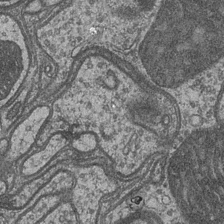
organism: Drosophila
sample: Optic medulla